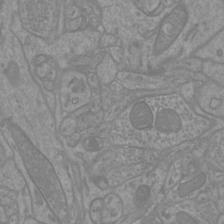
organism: Mouse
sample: Cortical neurons